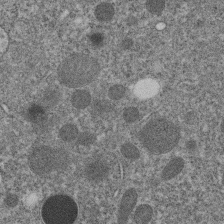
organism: C. elegans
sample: C. elegans embryo early stage